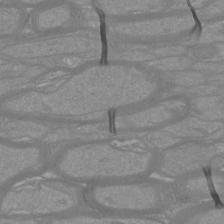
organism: Mouse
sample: Cortical neurons